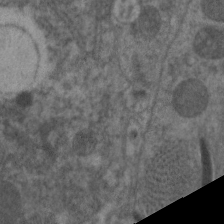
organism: C. elegans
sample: Pharynx